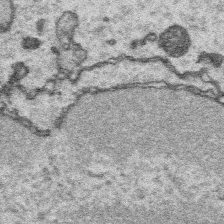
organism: Platynereis dumerilii